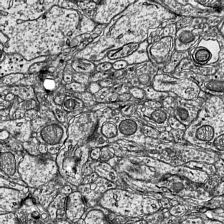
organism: Mouse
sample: Visual Cortex